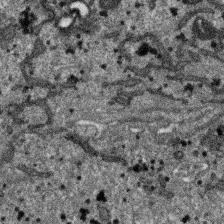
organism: Human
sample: Lung epithelial cells infected with SARS-CoV-2